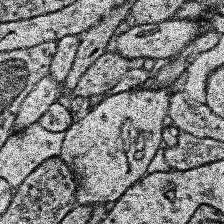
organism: Human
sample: Temporal Lobe